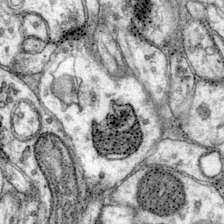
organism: Mouse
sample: Primary visual cortex